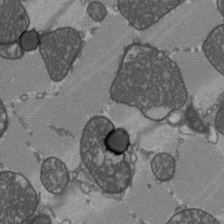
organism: C57BL Mouse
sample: Heart